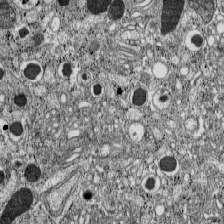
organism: C57BL Mouse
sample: Pancreatic islet